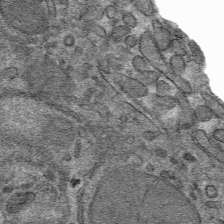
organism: Mouse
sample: Mouse hepatocytes